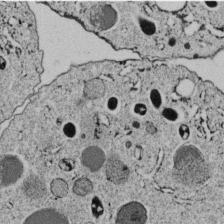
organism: C. elegans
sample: C. elegans embryo early stage